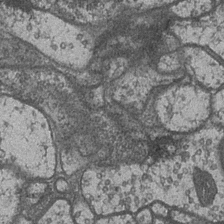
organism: Drosophila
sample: Optic medulla